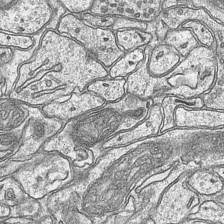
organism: Mouse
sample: CA1 Hippocampus